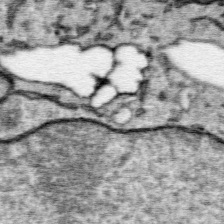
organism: Human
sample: HeLa cells